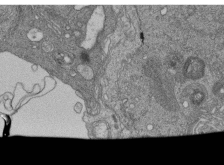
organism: Human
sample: Retinal organoid Rod and Cone cells